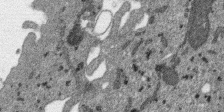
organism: Human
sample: Lung epithelial cells infected with SARS-CoV-2